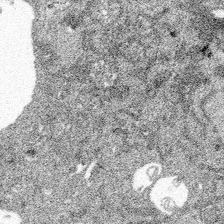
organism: Spongilla lacustris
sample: Multiple